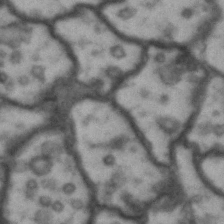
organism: Drosophila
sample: Brain